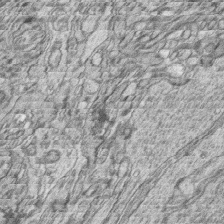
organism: Zebrafish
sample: synaptic ribbons in rod cells and cone cells